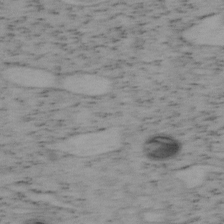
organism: Mouse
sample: OT-I killer T cells with ID8 ovarian cancer cells